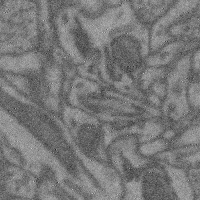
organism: Mouse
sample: Cerebral cortex